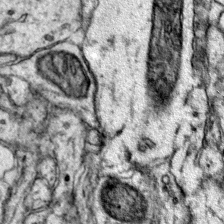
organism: Mouse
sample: Primary visual cortex